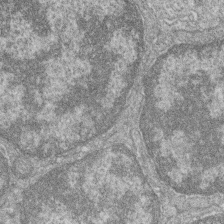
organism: Zebrafish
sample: Cilia; retinal pigment epithelium